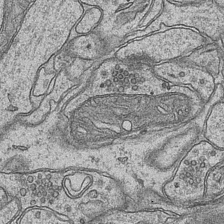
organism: Mouse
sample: CA1 Hippocampus